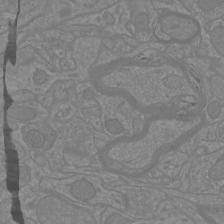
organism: Mouse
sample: Cortical neurons